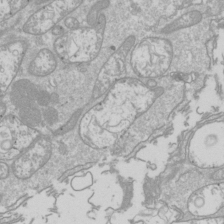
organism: Drosophila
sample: Cell division; meiosis; drosophila spermatocytes